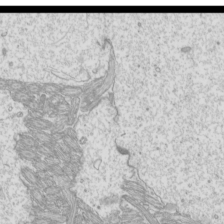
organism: Mouse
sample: Cilia; mouse epididymis